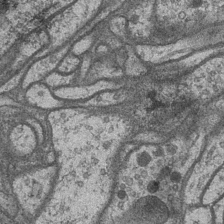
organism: Drosophila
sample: Optic medulla